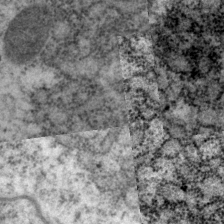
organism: P. pacificus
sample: Pharynx